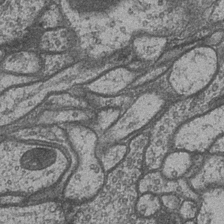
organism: Drosophila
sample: Optic medulla